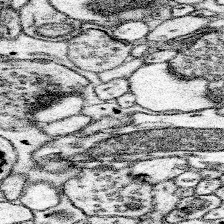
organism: Mouse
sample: Somatosensory cortex neuropil